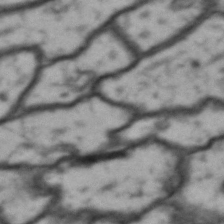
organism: Drosophila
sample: Brain